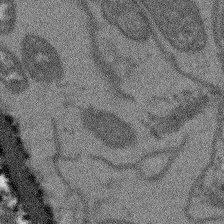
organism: Arabidopsis thaliana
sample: Root tip